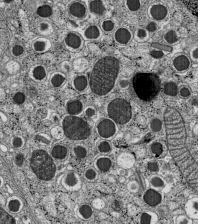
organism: C57BL Mouse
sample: Pancreatic islet